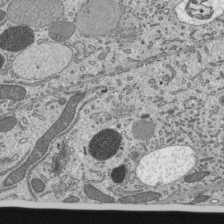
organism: Mouse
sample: Mouse epididymis efferent ductule cilia